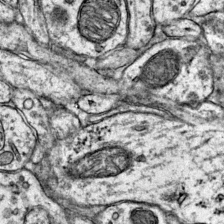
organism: Mouse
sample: Primary visual cortex